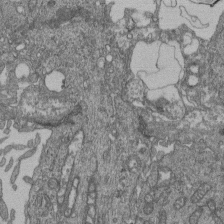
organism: Human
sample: Retinal organoid Rod and Cone cells